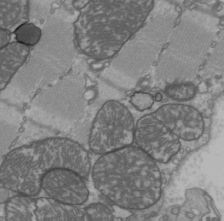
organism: C57BL Mouse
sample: Heart